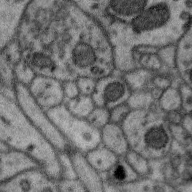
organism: Zebra finch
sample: Brain